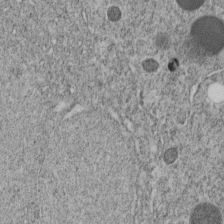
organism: C. elegans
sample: C. elegans embryo early stage